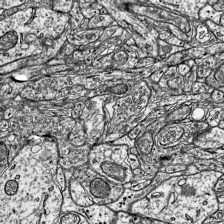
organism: Mouse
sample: Visual Cortex